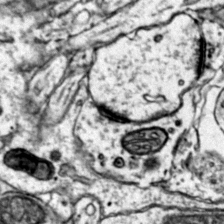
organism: Mouse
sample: Primary visual cortex